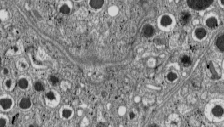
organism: C57BL Mouse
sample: Pancreatic islet